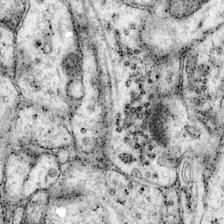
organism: Mouse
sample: Primary visual cortex